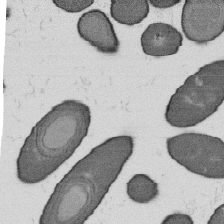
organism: B. subtilis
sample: Bacterial spore